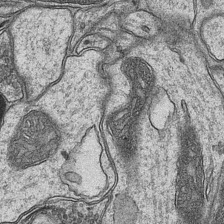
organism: Mouse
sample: CA1 Hippocampus